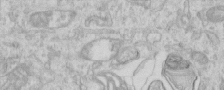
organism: Human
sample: Centriole in RPE cells